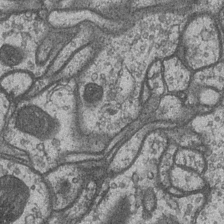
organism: Drosophila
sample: Optic medulla